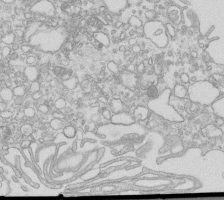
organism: Mouse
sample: Macrophages